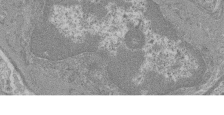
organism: Mouse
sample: Glomerulus